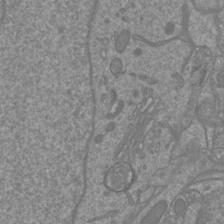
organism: Mouse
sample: Cortical neurons